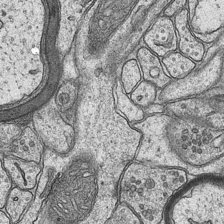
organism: Mouse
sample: CA1 Hippocampus